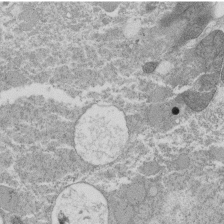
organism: Tetrahymena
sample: Cilia in tetrahymena